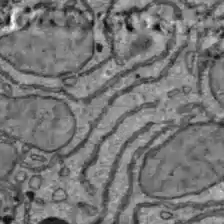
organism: C57BL Mouse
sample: Liver